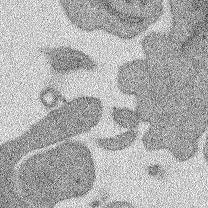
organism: Human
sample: HeLa cells